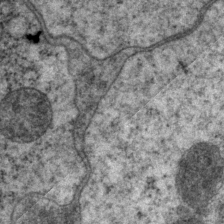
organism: P. pacificus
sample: Pharynx